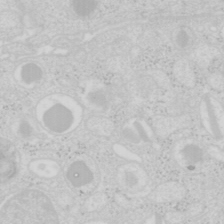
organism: Mouse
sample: Pancreas